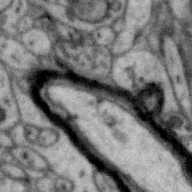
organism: Zebra finch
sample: Brain